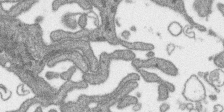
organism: Human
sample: Lung epithelial cells infected with SARS-CoV-2